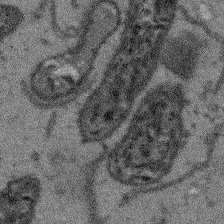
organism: Arabidopsis thaliana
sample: Root tip